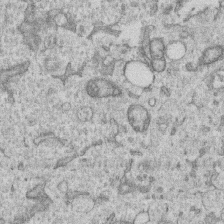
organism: Human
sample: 1205lu cells